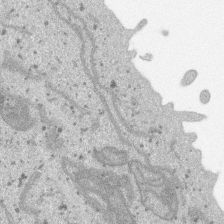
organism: Human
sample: Lung epithelial cells infected with SARS-CoV-2